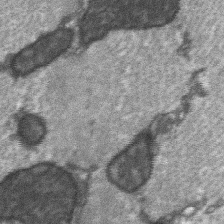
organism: C57BL Mouse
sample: Soleus